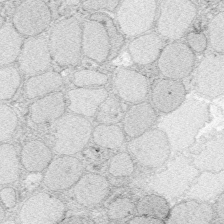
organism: Zebrafish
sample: Whole-Brain